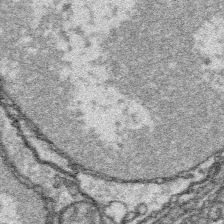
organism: Platynereis dumerilii